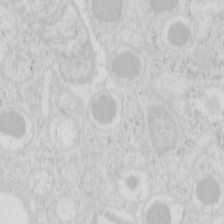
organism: Mouse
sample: Pancreas